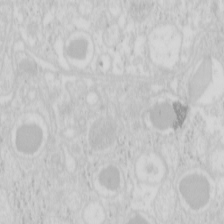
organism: Mouse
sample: Pancreas